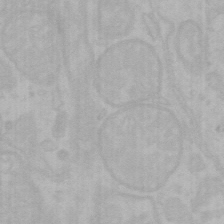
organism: Mouse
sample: Choroid plexus